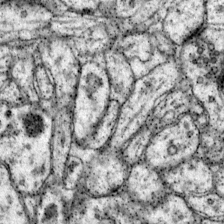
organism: Mouse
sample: Primary visual cortex